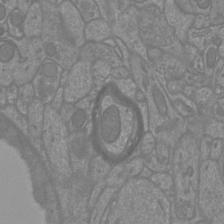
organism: Mouse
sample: Cortical neurons